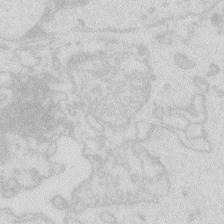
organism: Zebrafish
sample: Macrophage